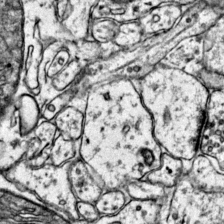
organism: Mouse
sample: Primary visual cortex